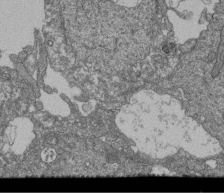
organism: Human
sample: Retinal organoid Rod and Cone cells